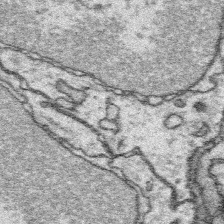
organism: Platynereis dumerilii